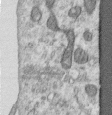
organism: Human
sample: Centriole in RPE cells